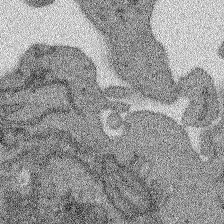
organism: Human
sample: HeLa cells